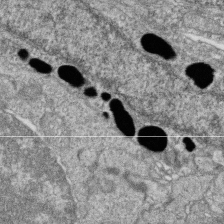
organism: Zebrafish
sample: Cilia; retinal pigment epithelium